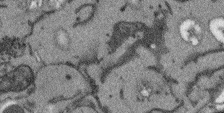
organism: Arabidopsis thaliana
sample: Root tip